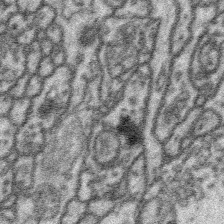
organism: Platynereis dumerilii